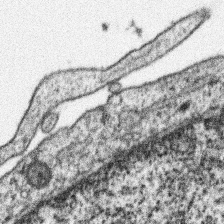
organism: Human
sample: HeLa cells